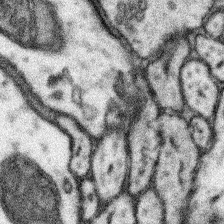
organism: Mouse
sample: Somatosensory cortex neuropil